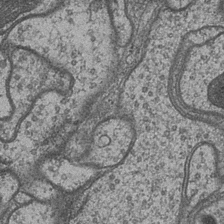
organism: Drosophila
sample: Optic medulla